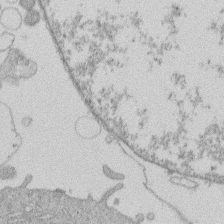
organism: Human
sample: Macrophage cells